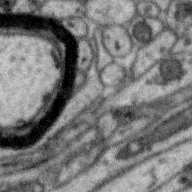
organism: Zebra finch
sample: Brain